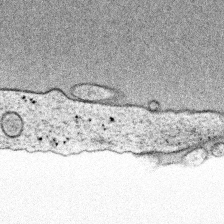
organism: Human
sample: HeLa cells